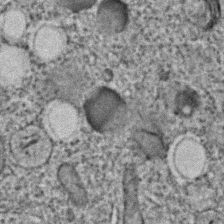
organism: C. elegans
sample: C. elegans embryo